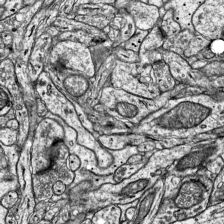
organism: Mouse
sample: Visual Cortex